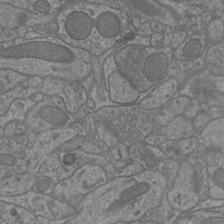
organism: Mouse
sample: Cortical neurons